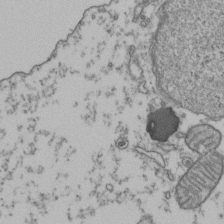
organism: Human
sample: Activated Jurkat CD4+ T cells